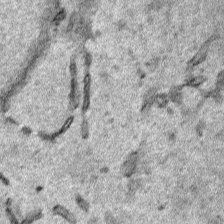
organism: Human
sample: Mitochondria in HCT116 cells